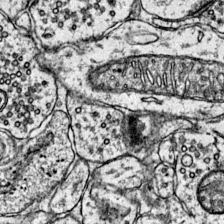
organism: Mouse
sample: Primary visual cortex